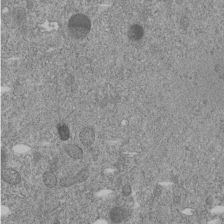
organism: C. elegans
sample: C. elegans embryo early stage